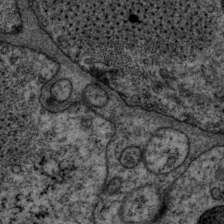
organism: P. pacificus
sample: Pharynx